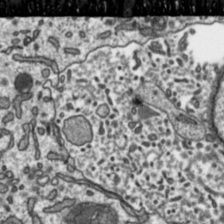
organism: Toxoplasma gondii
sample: Parasites in a vacuole inside a host cell